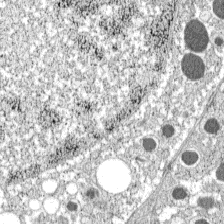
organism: C57BL Mouse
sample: Pancreatic islet